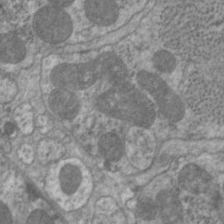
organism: C. elegans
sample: Pharynx